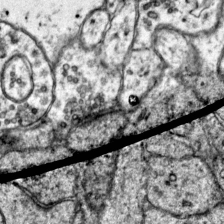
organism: Mouse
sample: Primary visual cortex